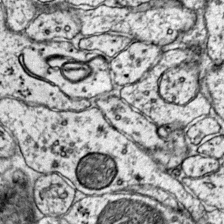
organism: Mouse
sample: Primary visual cortex